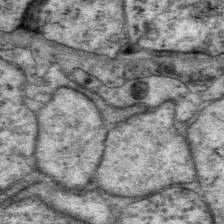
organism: P. pacificus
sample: Pharynx